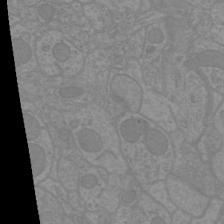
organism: Mouse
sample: Cortical neurons